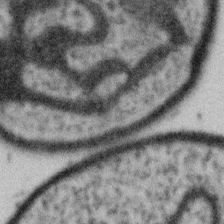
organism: Gemmata obscuriglobus